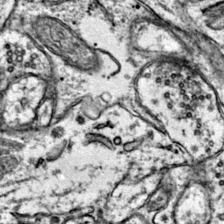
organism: Mouse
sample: Primary visual cortex